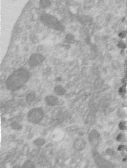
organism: Human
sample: Centriole in RPE cells